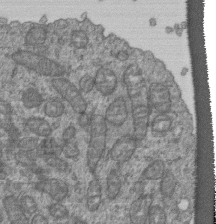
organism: Human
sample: Retinal organoid Rod and Cone cells